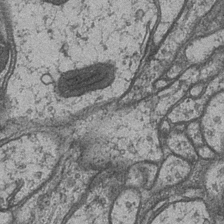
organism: Drosophila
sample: Optic medulla